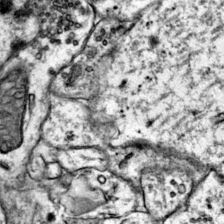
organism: Mouse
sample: Primary visual cortex